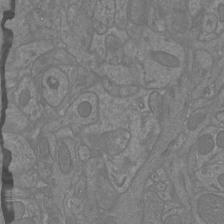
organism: Mouse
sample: Cortical neurons